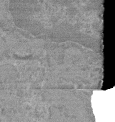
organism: Mouse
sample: Glomerulus